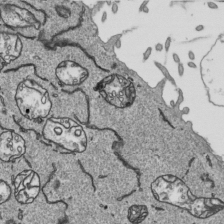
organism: Human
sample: Mitochondria in HCT116 cells